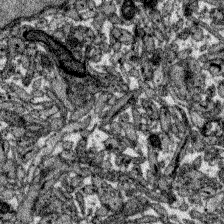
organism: Zebrafish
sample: Larval olfactory bulb